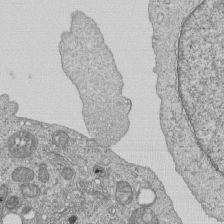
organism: Human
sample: MDA-MB-231 cells